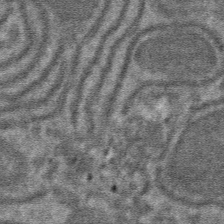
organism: Mouse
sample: Mouse hepatocytes